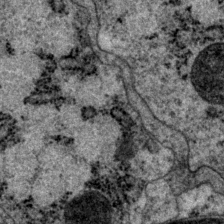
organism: P. pacificus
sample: Pharynx